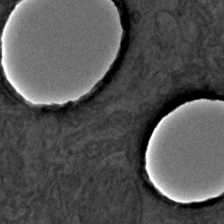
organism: C. elegans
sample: C. elegans embryo